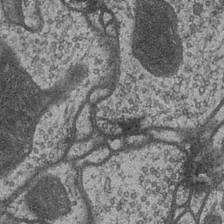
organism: Drosophila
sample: Optic medulla